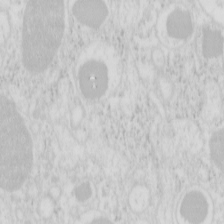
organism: Mouse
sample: Pancreas